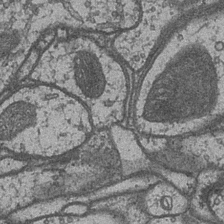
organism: Drosophila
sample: Optic medulla